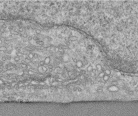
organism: Human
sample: Centriole in RPE cells